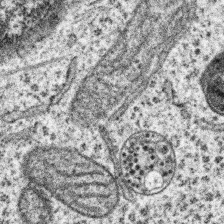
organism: Human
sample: HeLa cells